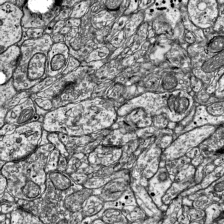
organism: Mouse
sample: Visual Cortex